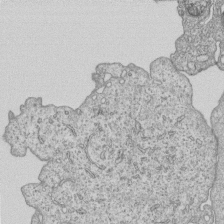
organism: Human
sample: MDA-MB-231 cells